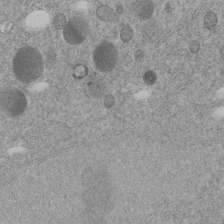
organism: C. elegans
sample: C. elegans embryo early stage